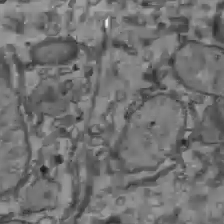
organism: C57BL Mouse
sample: Liver